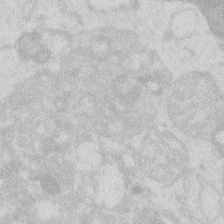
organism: Zebrafish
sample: Macrophage